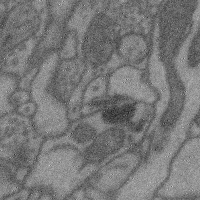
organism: Mouse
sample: Cerebral cortex